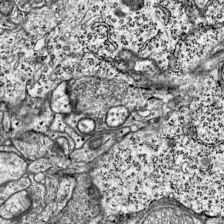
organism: Mouse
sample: Visual Cortex